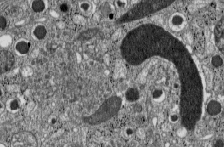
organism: C57BL Mouse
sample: Pancreatic islet